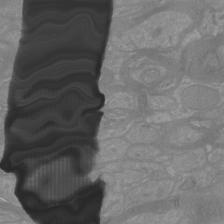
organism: Mouse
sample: Cortical neurons